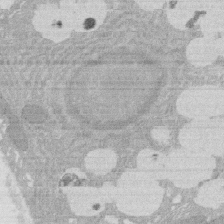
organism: Rat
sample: Salivary granule